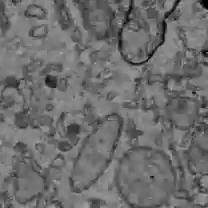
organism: C57BL Mouse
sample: Liver